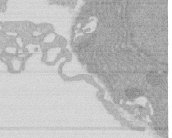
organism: Rat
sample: Salivary granule